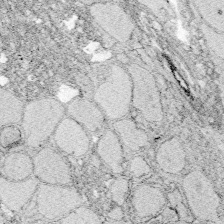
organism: Zebrafish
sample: Whole-Brain